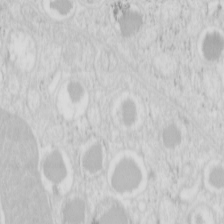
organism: Mouse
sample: Pancreas